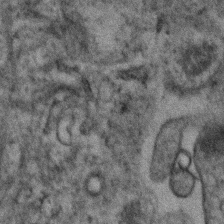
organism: Human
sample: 1205lu cells